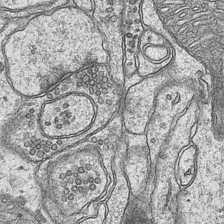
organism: Mouse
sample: CA1 Hippocampus